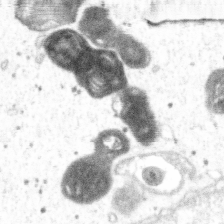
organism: Human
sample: HeLa cells